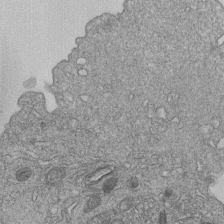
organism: Human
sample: MDA-MB-231 cells